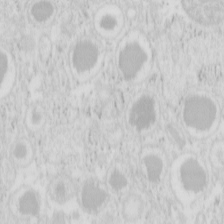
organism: Mouse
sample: Pancreas